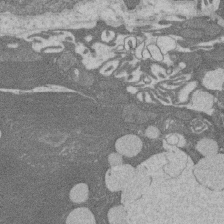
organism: Rat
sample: Salivary granule